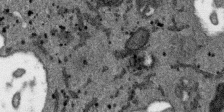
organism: Human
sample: Lung epithelial cells, uninfected (mock) control